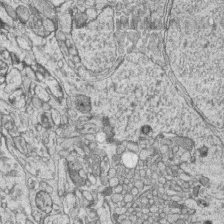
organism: Zebrafish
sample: synaptic ribbons in rod cells and cone cells